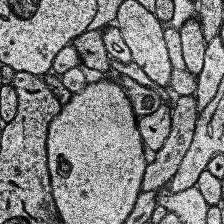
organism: Human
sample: Temporal Lobe